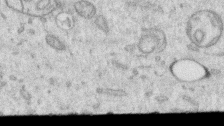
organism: Human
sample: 1205lu cells